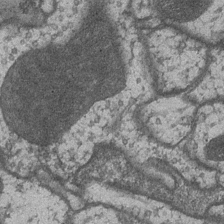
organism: Drosophila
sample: Optic medulla